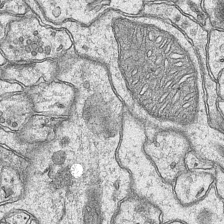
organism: Mouse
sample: CA1 Hippocampus